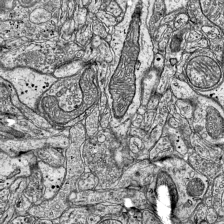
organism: Mouse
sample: Visual Cortex